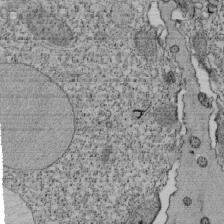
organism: Tetrahymena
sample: Cilia in tetrahymena